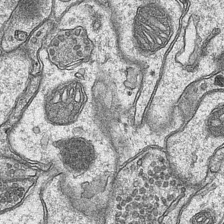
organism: Mouse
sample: CA1 Hippocampus